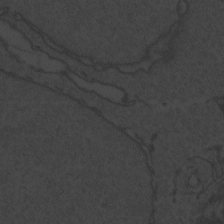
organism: Zebrafish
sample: Macrophage infected with Toxoplasma gondii